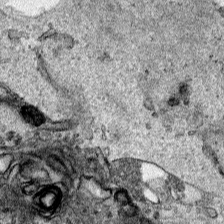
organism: Human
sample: Mitochondria in HCT116 cells